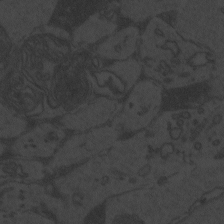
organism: Zebrafish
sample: Macrophage infected with Toxoplasma gondii